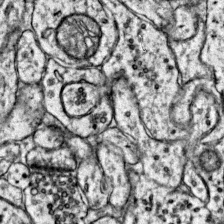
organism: Mouse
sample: Primary visual cortex